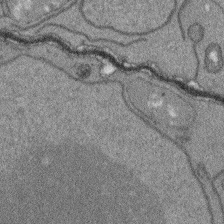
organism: Arabidopsis thaliana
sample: Root tip